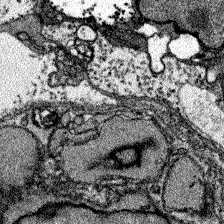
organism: Zebrafish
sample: Larval olfactory bulb